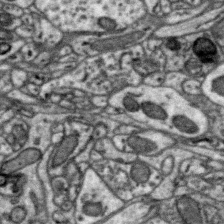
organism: Zebra finch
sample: Brain